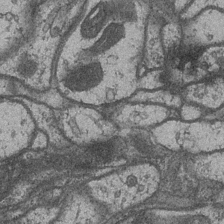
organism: Drosophila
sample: Optic medulla